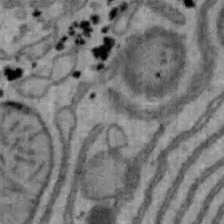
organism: Mouse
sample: Liver